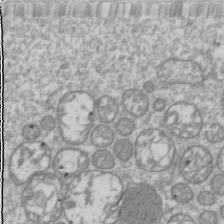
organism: Drosophila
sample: Cell division; meiosis; drosophila spermatocytes